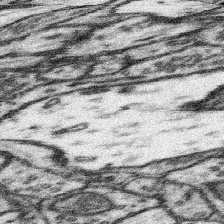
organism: Mouse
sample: Somatosensory cortex neuropil